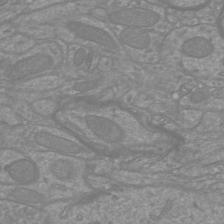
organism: Mouse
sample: Cortical neurons